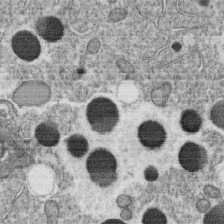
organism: C. elegans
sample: C. elegans oocyte; sperm cells